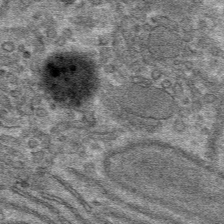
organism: Mouse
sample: Mouse hepatocytes